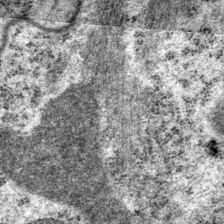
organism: P. pacificus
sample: Pharynx